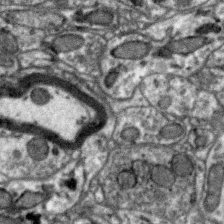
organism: Zebra finch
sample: Brain